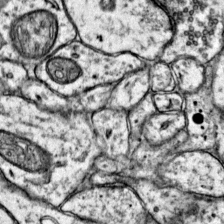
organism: Mouse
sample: Primary visual cortex